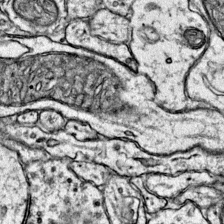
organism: Mouse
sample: Primary visual cortex